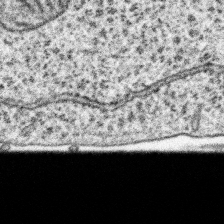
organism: Human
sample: HeLa cells